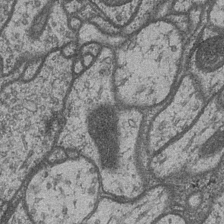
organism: Drosophila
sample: Optic medulla